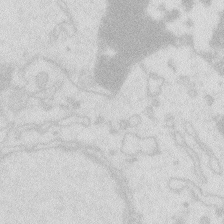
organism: Zebrafish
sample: Macrophage